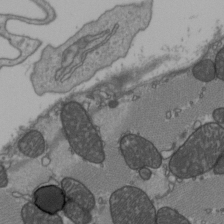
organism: C57BL Mouse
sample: Heart